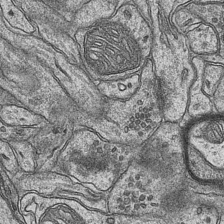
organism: Mouse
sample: CA1 Hippocampus